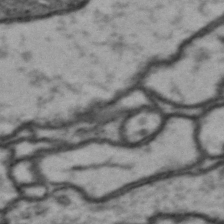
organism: Drosophila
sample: Brain